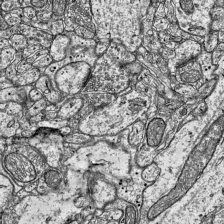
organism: Mouse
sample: Visual Cortex